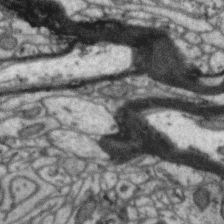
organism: Zebra finch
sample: Brain